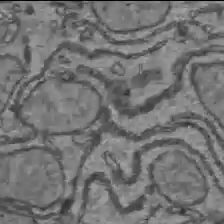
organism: C57BL Mouse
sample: Liver